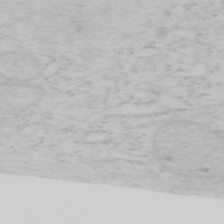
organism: Mouse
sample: OT-I killer T cells with ID8 ovarian cancer cells